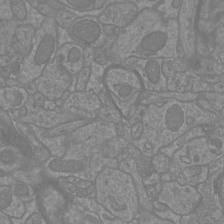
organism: Mouse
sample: Cortical neurons